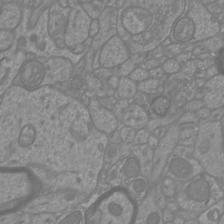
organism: Mouse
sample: Cortical neurons